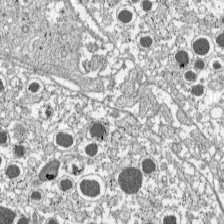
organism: C57BL Mouse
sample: Pancreatic islet